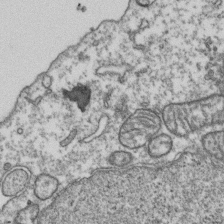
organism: Human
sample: Activated Jurkat CD4+ T cells